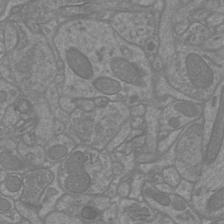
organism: Mouse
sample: Cortical neurons